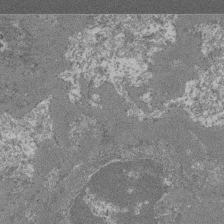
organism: Mouse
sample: Glomerulus